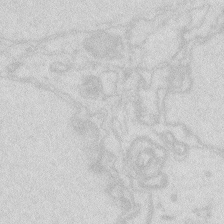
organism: Zebrafish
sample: Macrophage